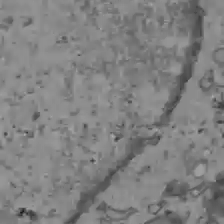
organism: C57BL Mouse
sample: Liver